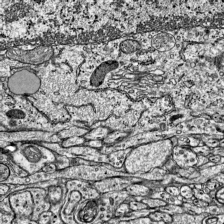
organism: Mouse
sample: Visual Cortex